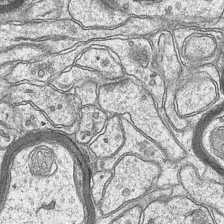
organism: Mouse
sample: CA1 Hippocampus